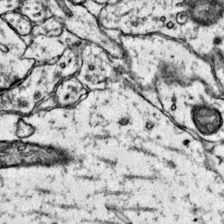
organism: Mouse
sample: Primary visual cortex